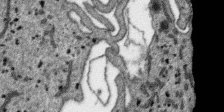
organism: Human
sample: Lung epithelial cells, uninfected (mock) control